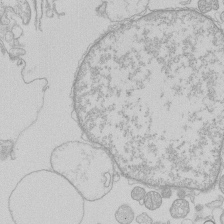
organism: Human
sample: Macrophage cells